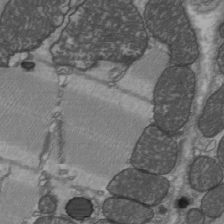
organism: C57BL Mouse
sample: Heart